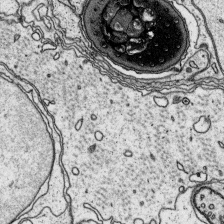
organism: Platynereis dumerilii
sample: Parapodia